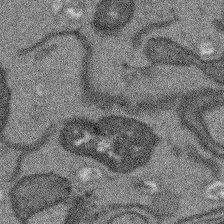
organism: Arabidopsis thaliana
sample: Root tip